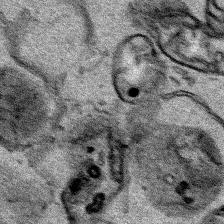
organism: Human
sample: Mitochondria in HCT116 cells